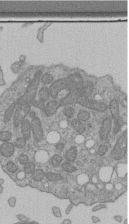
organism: Human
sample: Retinal organoid Rod and Cone cells